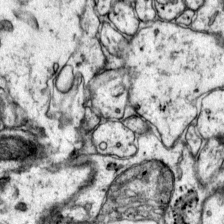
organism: Mouse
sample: Primary visual cortex